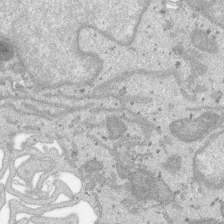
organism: Human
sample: Lung epithelial cells infected with SARS-CoV-2